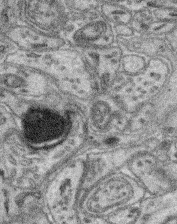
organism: Mouse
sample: Retina